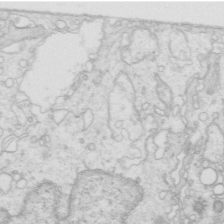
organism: Mouse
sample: Multiciliated cells